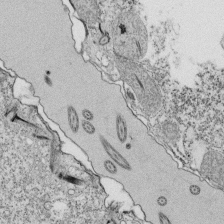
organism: Tetrahymena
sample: Cilia in tetrahymena